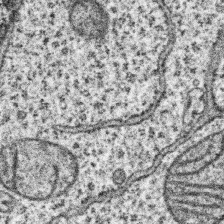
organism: Human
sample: HeLa cells